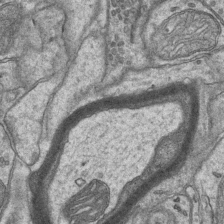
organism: Mouse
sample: CA1 Hippocampus